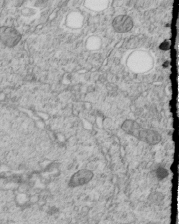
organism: C. elegans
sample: C. elegans embryo early stage